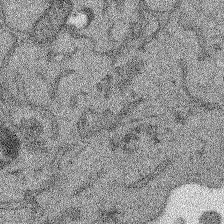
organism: Human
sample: HeLa cells